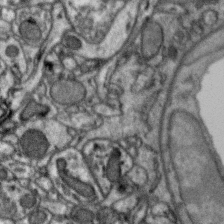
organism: Zebra finch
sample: Brain